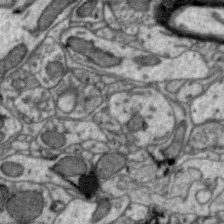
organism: Zebra finch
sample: Brain